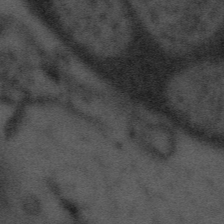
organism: Tuwongella immobilis